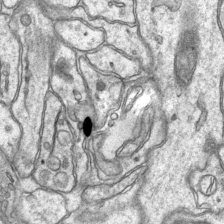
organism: Mouse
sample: CA1 Hippocampus